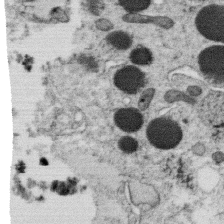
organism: C. elegans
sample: C. elegans oocyte; sperm cells